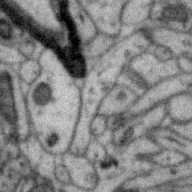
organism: Zebra finch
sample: Brain